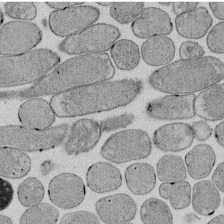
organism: E. coli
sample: Bacterial nucleoid